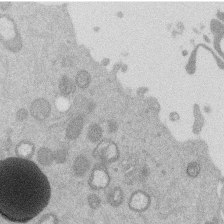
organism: Mouse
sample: Dividing mouse embryo 1 cell stage